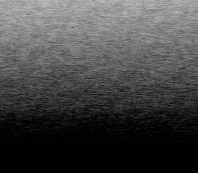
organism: Human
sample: HeLa cells